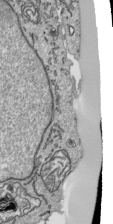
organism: Human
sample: Mitochondria in HCT116 cells